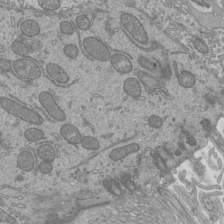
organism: Mouse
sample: Cilia; mouse epididymis